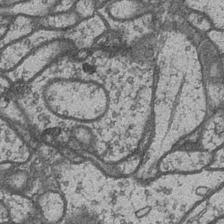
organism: Drosophila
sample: Optic medulla